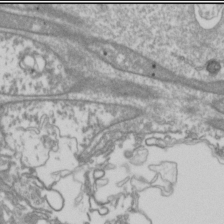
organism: Drosophila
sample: Cell division; meiosis; drosophila spermatocytes